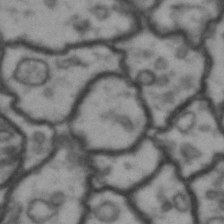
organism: Drosophila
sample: Brain